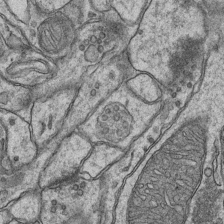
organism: Mouse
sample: CA1 Hippocampus